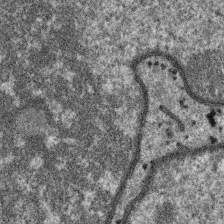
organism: Human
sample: Lung epithelial cells infected with SARS-CoV-2